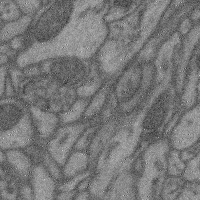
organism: Mouse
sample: Cerebral cortex